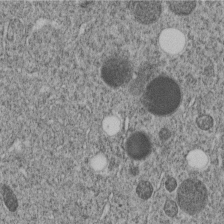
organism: C. elegans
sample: C. elegans embryo early stage